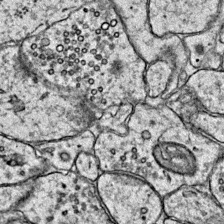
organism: Mouse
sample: Primary visual cortex